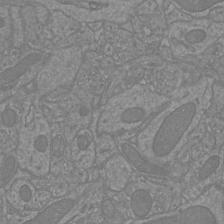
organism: Mouse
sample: Cortical neurons